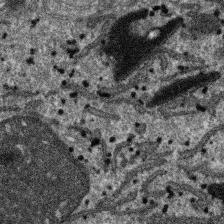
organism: Human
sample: Lung epithelial cells infected with SARS-CoV-2